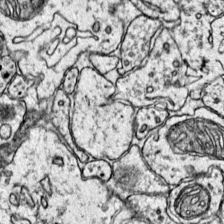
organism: Mouse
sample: Primary visual cortex